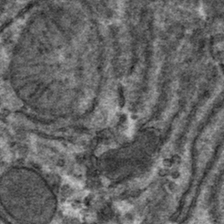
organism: Mouse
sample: Mouse hepatocytes